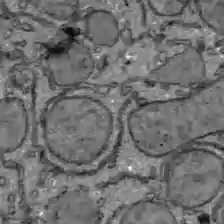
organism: C57BL Mouse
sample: Liver